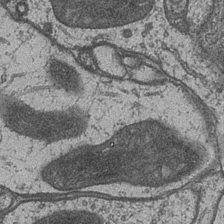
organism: Drosophila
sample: Optic medulla